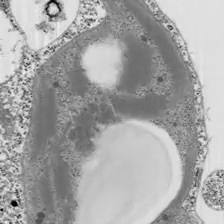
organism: Chlamydomonas reinhardtii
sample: Whole Cell